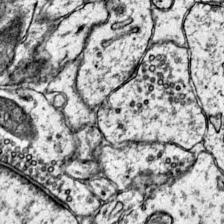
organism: Mouse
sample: Primary visual cortex